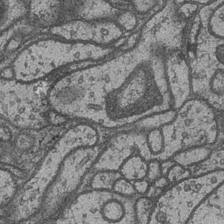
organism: Drosophila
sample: Optic medulla